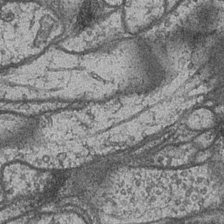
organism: Drosophila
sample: Optic medulla